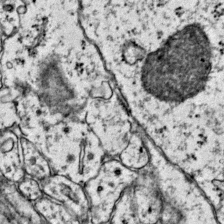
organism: Mouse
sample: Primary visual cortex